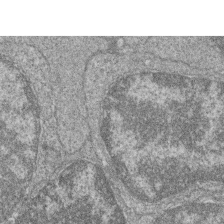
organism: Zebrafish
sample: Cilia; retinal pigment epithelium